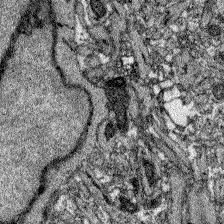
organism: Zebrafish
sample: Larval olfactory bulb